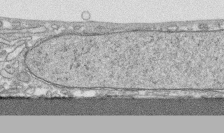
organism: Human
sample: CRL-1474